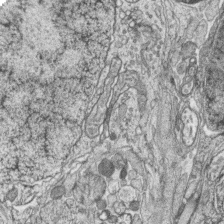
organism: Zebrafish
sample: synaptic ribbons in rod cells and cone cells